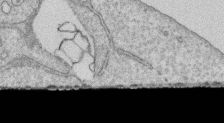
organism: Human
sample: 1205lu cells